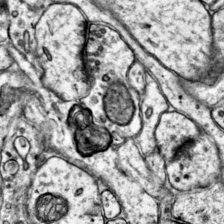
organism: Mouse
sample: Primary visual cortex